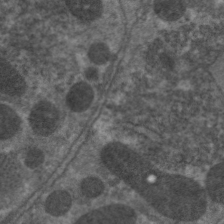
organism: C. elegans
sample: Pharynx